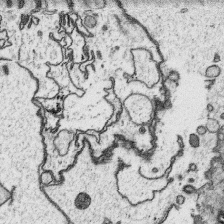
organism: Platynereis dumerilii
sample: Parapodia